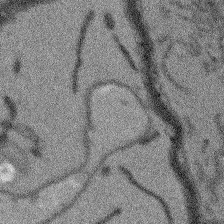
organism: Arabidopsis thaliana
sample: Root tip